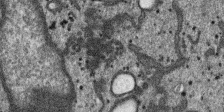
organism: Human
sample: Lung epithelial cells infected with SARS-CoV-2